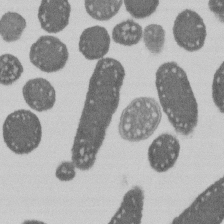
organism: E. coli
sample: Bacterial nucleoid